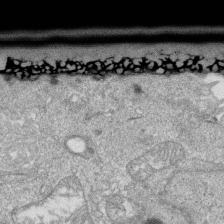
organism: Human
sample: HeLa cell HIV synapse